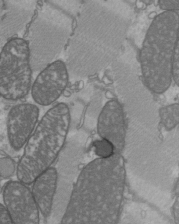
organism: C57BL Mouse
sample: Heart